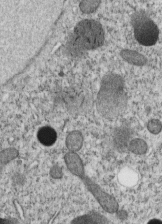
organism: C. elegans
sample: C. elegans embryo early stage